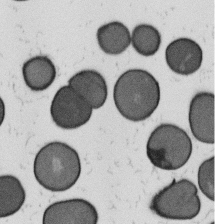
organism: B. subtilis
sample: Bacterial spore